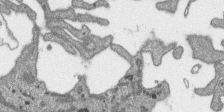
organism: Human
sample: Lung epithelial cells infected with SARS-CoV-2